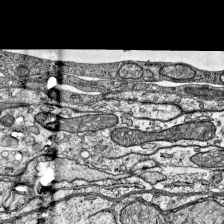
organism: Mouse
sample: Visual Cortex